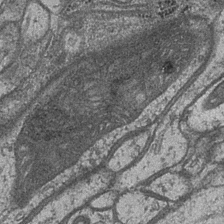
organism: Drosophila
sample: Optic medulla